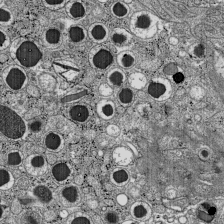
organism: C57BL Mouse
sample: Pancreatic islet